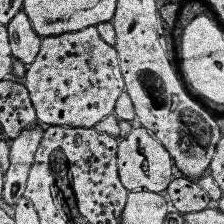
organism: Human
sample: Temporal Lobe